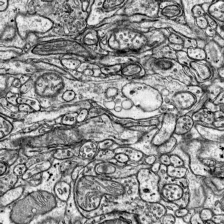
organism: Mouse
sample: Visual Cortex